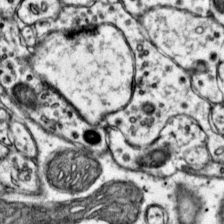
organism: Mouse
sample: Primary visual cortex